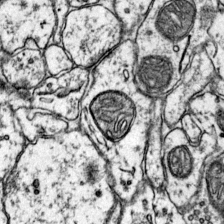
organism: Mouse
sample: Primary visual cortex